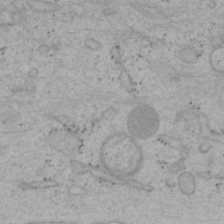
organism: Human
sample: HeLa cells